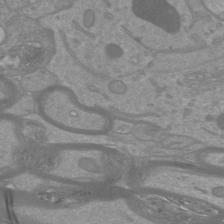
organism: Mouse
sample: Cortical neurons